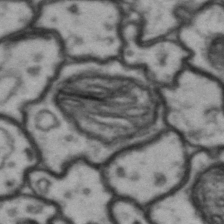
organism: Drosophila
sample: Brain